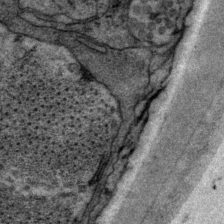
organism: P. pacificus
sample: Pharynx